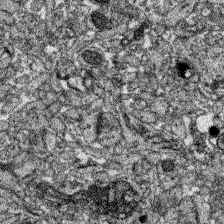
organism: Zebrafish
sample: Larval olfactory bulb